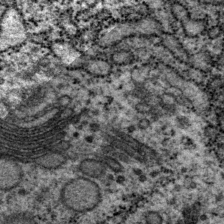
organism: P. pacificus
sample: Pharynx